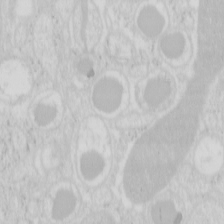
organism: Mouse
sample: Pancreas